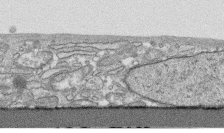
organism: Human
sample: CRL-1474